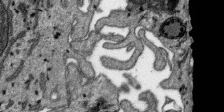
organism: Human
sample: Lung epithelial cells, uninfected (mock) control